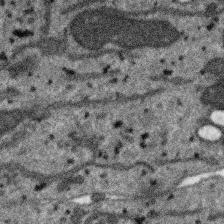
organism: Human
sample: Lung epithelial cells infected with SARS-CoV-2